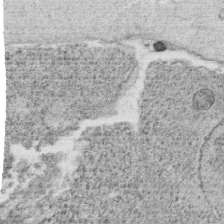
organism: C. elegans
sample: C. elegans oocyte; sperm cells